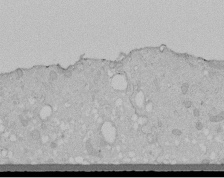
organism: Human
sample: Melanocyte Keratinocyte synapse skin construct